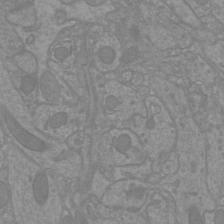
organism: Mouse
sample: Cortical neurons